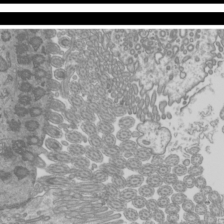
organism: Mouse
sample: Cilia; mouse epididymis